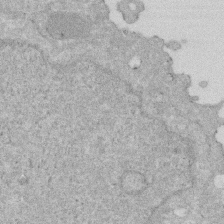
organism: Human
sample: HIV infected U937 cells